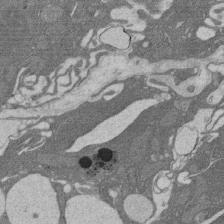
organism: Rat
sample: Salivary granule